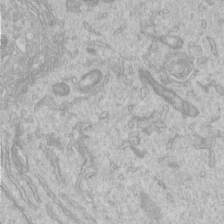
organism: Human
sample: Centriole in RPE cells